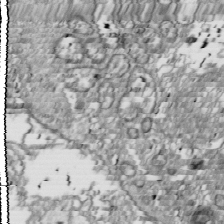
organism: Drosophila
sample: Cell division; meiosis; drosophila spermatocytes